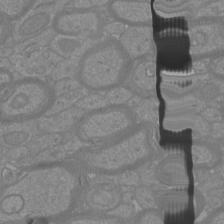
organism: Mouse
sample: Cortical neurons